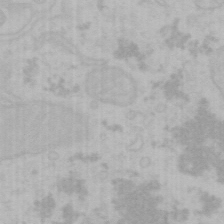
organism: Mouse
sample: Choroid plexus